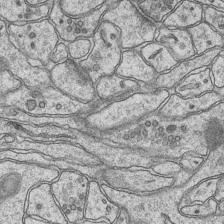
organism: Mouse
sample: CA1 Hippocampus